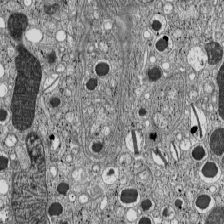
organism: C57BL Mouse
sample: Pancreatic islet